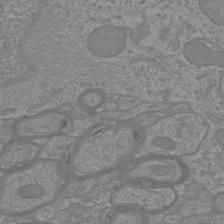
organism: Mouse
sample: Cortical neurons